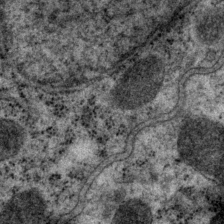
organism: P. pacificus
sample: Pharynx